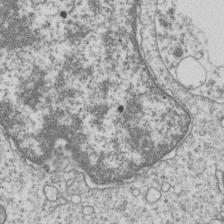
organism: Human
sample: MDA-MB-231 cells